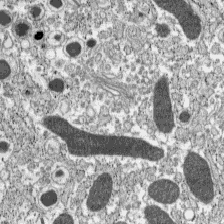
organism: C57BL Mouse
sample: Pancreatic islet